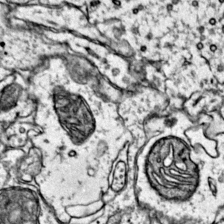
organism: Mouse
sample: Primary visual cortex